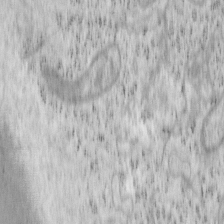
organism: Human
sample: HeLa cells